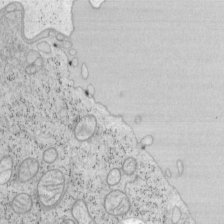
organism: Mouse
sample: OT-I killer T cells with ID8 ovarian cancer cells